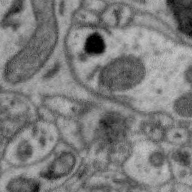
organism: Zebra finch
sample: Brain